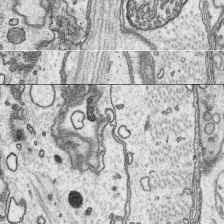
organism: Platynereis dumerilii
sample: Parapodia